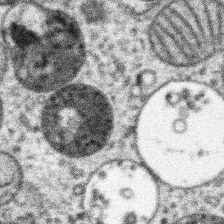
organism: Human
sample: HeLa cells